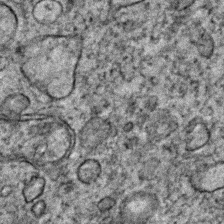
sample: Trachea